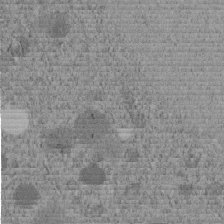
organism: C. elegans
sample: C. elegans embryo early stage